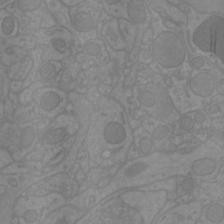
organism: Mouse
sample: Cortical neurons